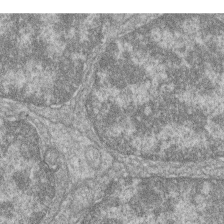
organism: Zebrafish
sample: Cilia; retinal pigment epithelium